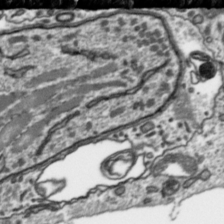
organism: Toxoplasma gondii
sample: Parasites in a vacuole inside a host cell